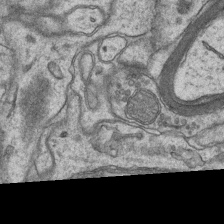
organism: Mouse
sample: CA1 Hippocampus